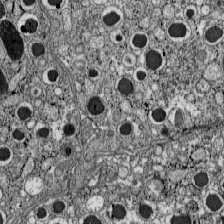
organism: C57BL Mouse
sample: Pancreatic islet